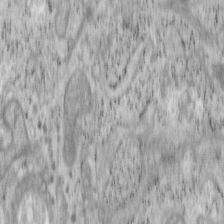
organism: Human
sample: HeLa cells